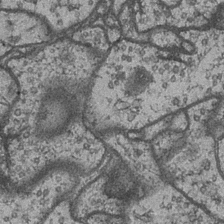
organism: Drosophila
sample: Optic medulla